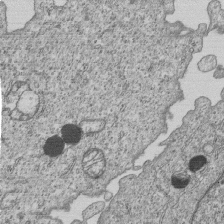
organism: Human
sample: MDA-MB-231 cells